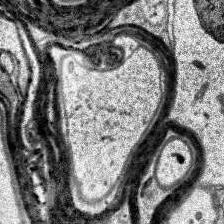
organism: Human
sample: Temporal Lobe